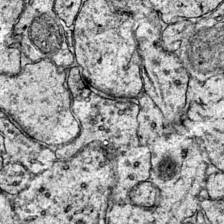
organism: Mouse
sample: Primary visual cortex